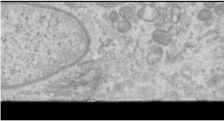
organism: Human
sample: Cilia; basal body in RPE cells